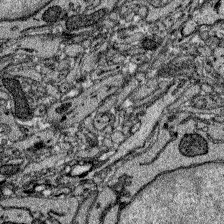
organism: Zebrafish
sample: Larval olfactory bulb